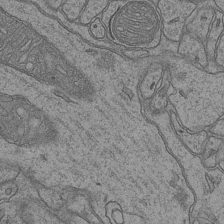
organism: Mouse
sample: CA1 Hippocampus